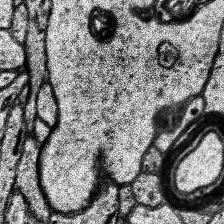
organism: Human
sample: Temporal Lobe